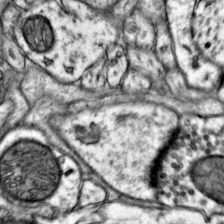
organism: Mouse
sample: Primary visual cortex